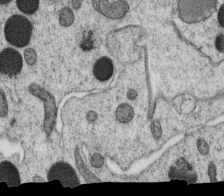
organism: C. elegans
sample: C. elegans oocyte; sperm cells